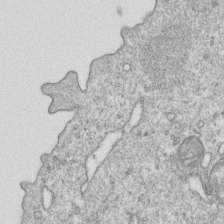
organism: Mouse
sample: Activated OT-1 CD8+ T cells